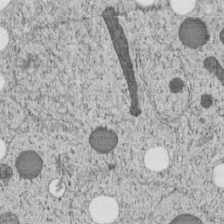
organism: C. elegans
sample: C. elegans embryo early stage